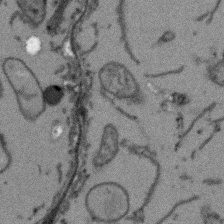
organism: Arabidopsis thaliana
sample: Root tip